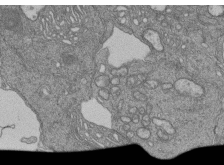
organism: Human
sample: Retinal organoid Rod and Cone cells